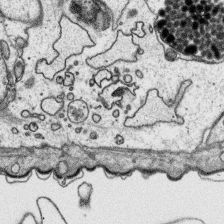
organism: Platynereis dumerilii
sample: Parapodia